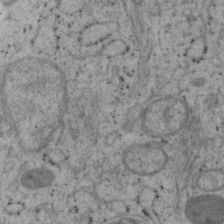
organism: Human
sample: HeLa cells